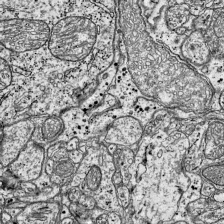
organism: Mouse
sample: Visual Cortex